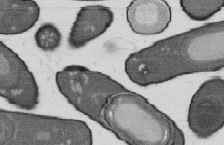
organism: B. subtilis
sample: Bacterial spore